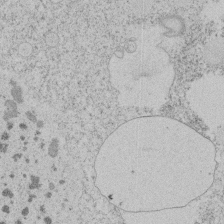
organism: Tetrahymena